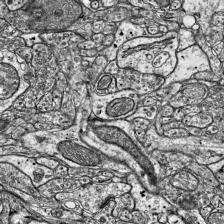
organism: Mouse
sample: Visual Cortex